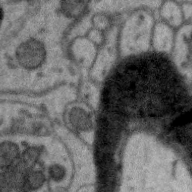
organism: Zebra finch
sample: Brain